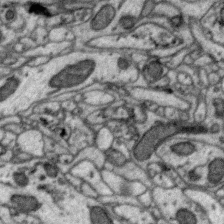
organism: Zebra finch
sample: Brain